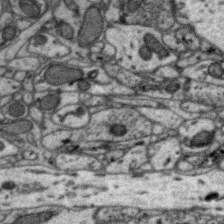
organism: Zebra finch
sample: Brain